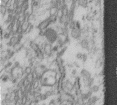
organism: Human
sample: Centriole in fibroblast cells